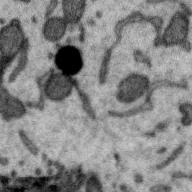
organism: Zebra finch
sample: Brain